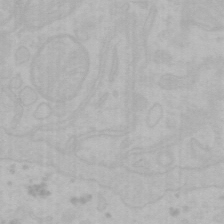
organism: Mouse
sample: Choroid plexus